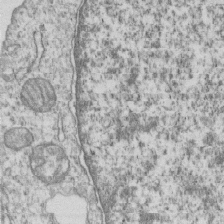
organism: Human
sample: MDA-MB-231 cells